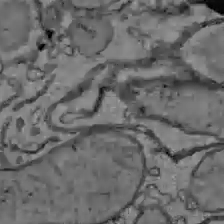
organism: C57BL Mouse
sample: Liver